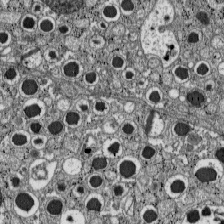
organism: C57BL Mouse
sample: Pancreatic islet